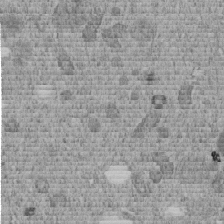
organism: C. elegans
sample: C. elegans embryo early stage